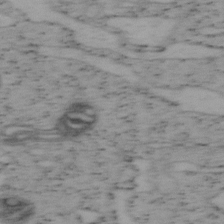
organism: Mouse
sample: OT-I killer T cells with ID8 ovarian cancer cells